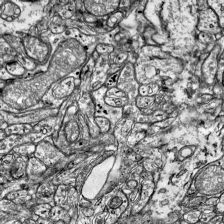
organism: Mouse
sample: Visual Cortex